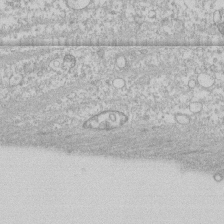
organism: Human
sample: CRL-1474